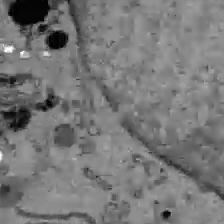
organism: C57BL Mouse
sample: Liver